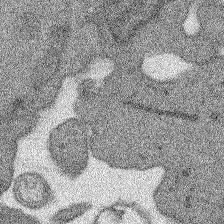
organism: Human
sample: HeLa cells